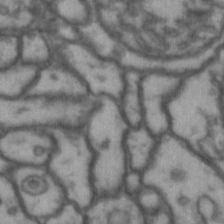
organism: Drosophila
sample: Brain